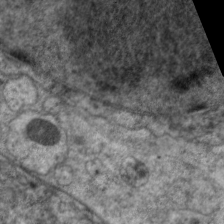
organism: C. elegans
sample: Pharynx